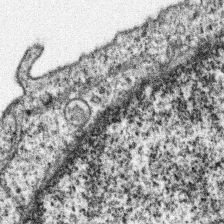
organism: Human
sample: HeLa cells